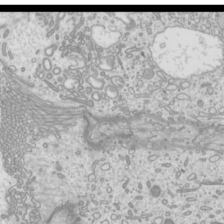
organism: Mouse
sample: Cilia; mouse epididymis